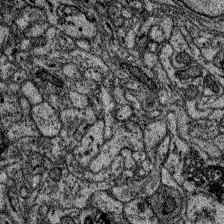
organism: Zebrafish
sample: Larval olfactory bulb